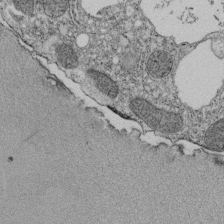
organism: Tetrahymena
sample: Cilia in tetrahymena